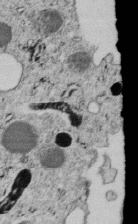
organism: C. elegans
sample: C. elegans embryo early stage